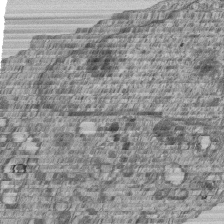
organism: Human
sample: MDA-MB-231 cells